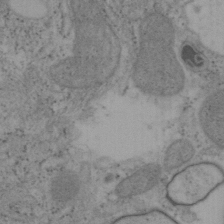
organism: Mouse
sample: OT-I killer T cells with ID8 ovarian cancer cells